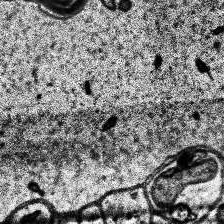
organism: Human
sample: Temporal Lobe